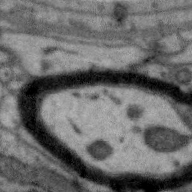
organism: Zebra finch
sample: Brain